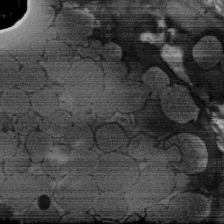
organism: Rat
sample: Salivary granule